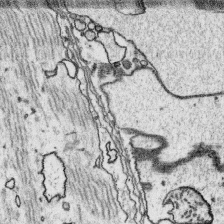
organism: Platynereis dumerilii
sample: Parapodia